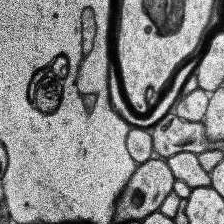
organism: Human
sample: Temporal Lobe